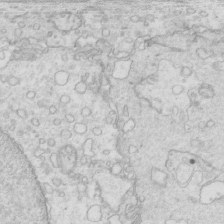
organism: Mouse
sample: Multiciliated cells